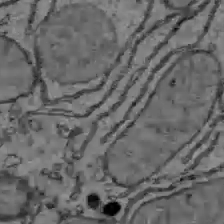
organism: C57BL Mouse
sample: Liver